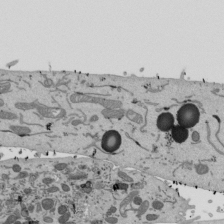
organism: Mouse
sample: ED-1 cell nuclei; centrioles